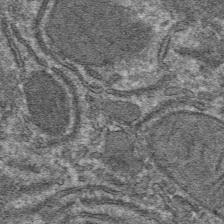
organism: Mouse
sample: Mouse hepatocytes